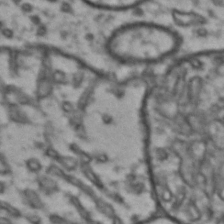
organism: Drosophila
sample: Brain